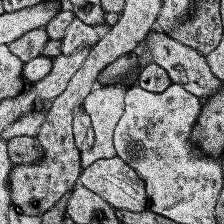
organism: Human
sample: Temporal Lobe